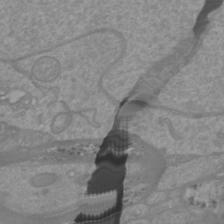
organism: Mouse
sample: Cortical neurons